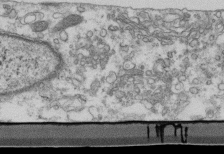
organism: Mouse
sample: Cilia; retinal pigment epithelium